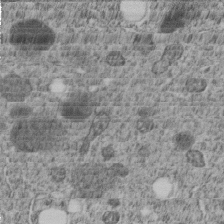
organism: C. elegans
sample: C. elegans embryo early stage